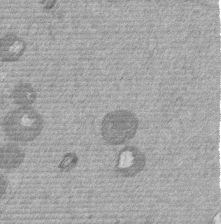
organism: Mouse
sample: Dividing mouse embryo 1 cell stage